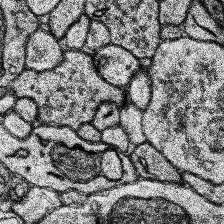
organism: Human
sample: Temporal Lobe